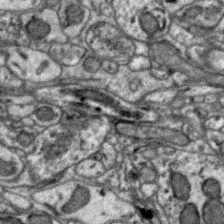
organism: Zebra finch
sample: Brain